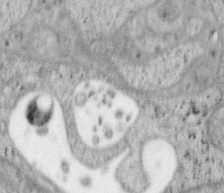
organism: Mouse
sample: OT-I killer T cells with ID8 ovarian cancer cells